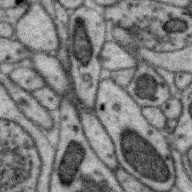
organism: Zebra finch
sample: Brain